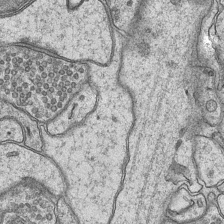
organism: Mouse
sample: CA1 Hippocampus